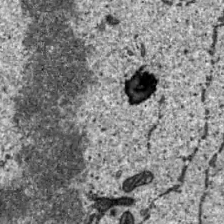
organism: Human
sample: HeLa cells